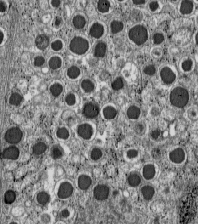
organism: C57BL Mouse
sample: Pancreatic islet